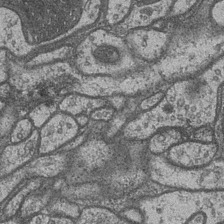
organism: Drosophila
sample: Optic medulla